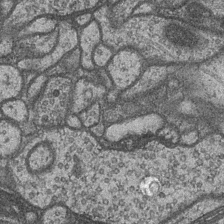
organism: Drosophila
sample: Optic medulla